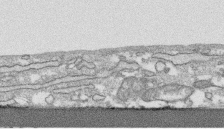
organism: Human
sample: CRL-1474